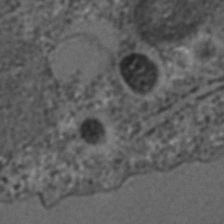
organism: C. elegans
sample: C. elegans embryo